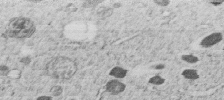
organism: C. elegans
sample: C. elegans embryo early stage